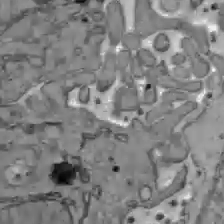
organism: C57BL Mouse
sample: Liver